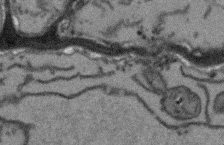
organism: Arabidopsis thaliana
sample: Root tip